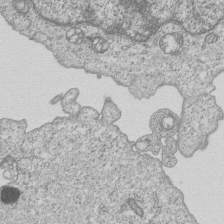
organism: Human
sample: MDA-MB-231 cells